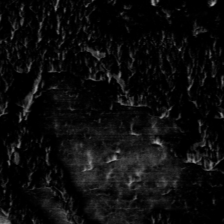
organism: Toxoplasma gondii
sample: Parasites in a vacuole inside a host cell